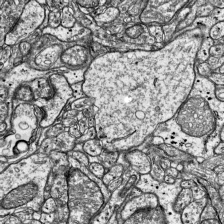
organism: Mouse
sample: Visual Cortex